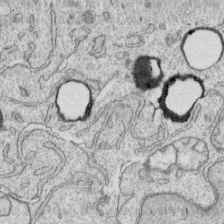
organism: Human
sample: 1205lu cells